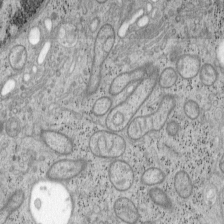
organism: Mouse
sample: OT-I killer T cells with ID8 ovarian cancer cells